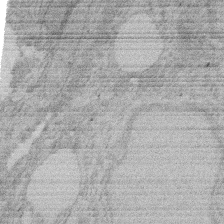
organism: Rat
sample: Salivary granule